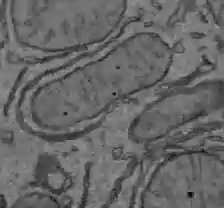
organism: C57BL Mouse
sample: Liver